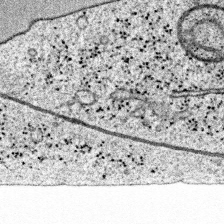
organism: Human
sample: HeLa cells